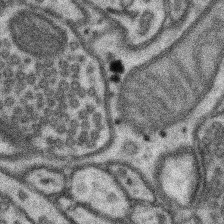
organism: Mouse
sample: Somatosensory cortex neuropil